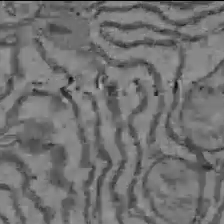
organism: C57BL Mouse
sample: Liver